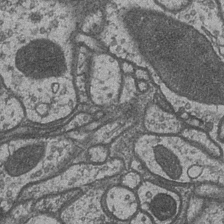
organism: Drosophila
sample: Optic medulla